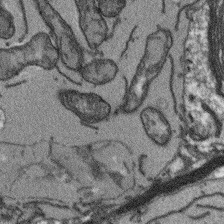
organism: Arabidopsis thaliana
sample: Root tip